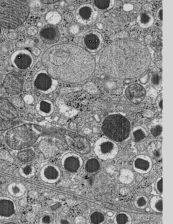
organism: C57BL Mouse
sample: Pancreatic islet